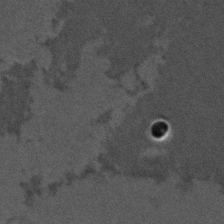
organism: C. elegans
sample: C. elegans embryo